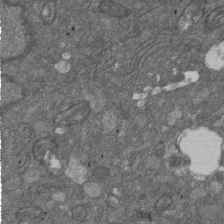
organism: Drosophila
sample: Nephrocyte